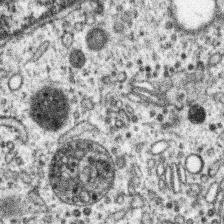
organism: Human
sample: HeLa cells